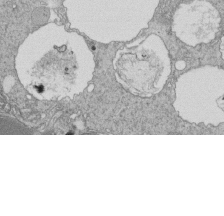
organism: Tetrahymena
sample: Cilia in tetrahymena